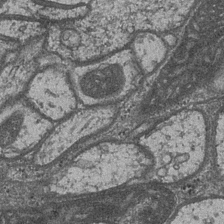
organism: Drosophila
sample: Optic medulla